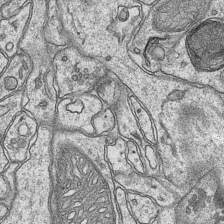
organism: Mouse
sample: CA1 Hippocampus